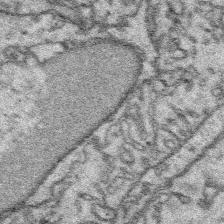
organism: Platynereis dumerilii